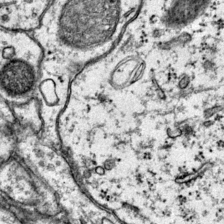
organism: Mouse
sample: Primary visual cortex